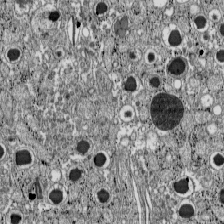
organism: C57BL Mouse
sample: Pancreatic islet